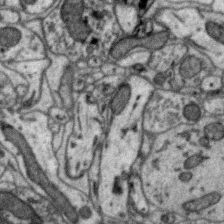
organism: Zebra finch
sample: Brain